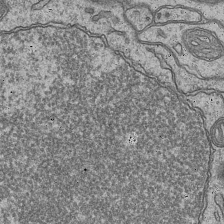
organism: Mouse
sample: CA1 Hippocampus